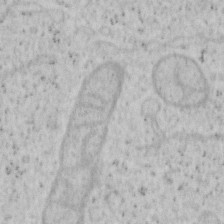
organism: Human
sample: HeLa cells